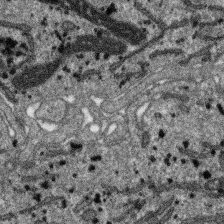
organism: Human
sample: Lung epithelial cells infected with SARS-CoV-2